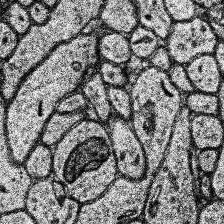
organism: Human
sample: Temporal Lobe